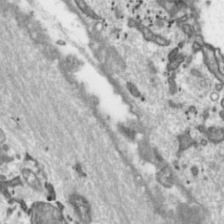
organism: Toxoplasma gondii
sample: Parasites in a vacuole inside a host cell